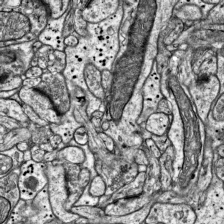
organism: Mouse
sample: Visual Cortex